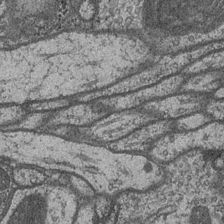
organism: Drosophila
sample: Optic medulla